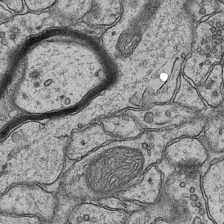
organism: Mouse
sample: CA1 Hippocampus